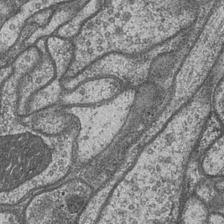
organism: Drosophila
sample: Optic medulla